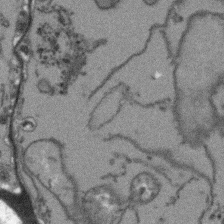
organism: Arabidopsis thaliana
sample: Root tip